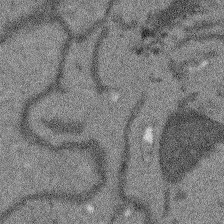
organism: Arabidopsis thaliana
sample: Root tip